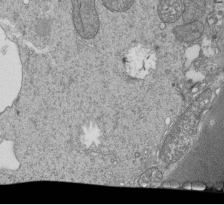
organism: Tetrahymena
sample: Cilia in tetrahymena